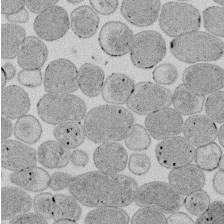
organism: E. coli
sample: Bacterial nucleoid